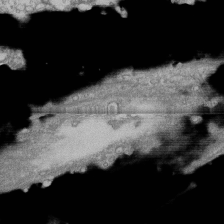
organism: Human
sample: Fibroblast cells